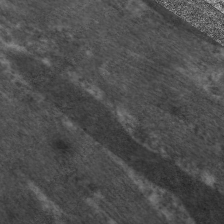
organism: C. elegans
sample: Pharynx